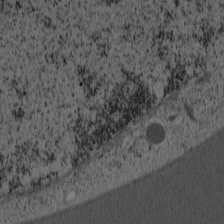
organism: African green monkey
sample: COS-7 cells